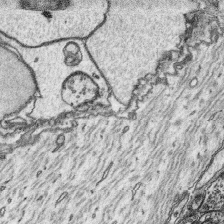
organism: Platynereis dumerilii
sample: Parapodia